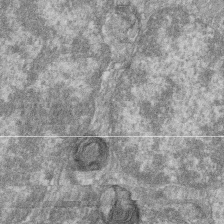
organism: Zebrafish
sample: Cilia; retinal pigment epithelium